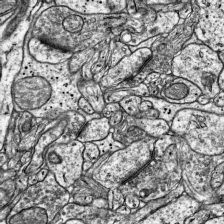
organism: Mouse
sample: Visual Cortex